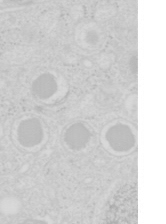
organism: Mouse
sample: Pancreas